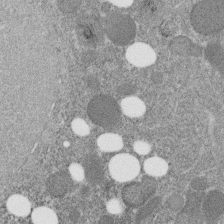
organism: C. elegans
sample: C. elegans embryo early stage